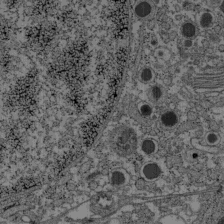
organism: C57BL Mouse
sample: Pancreatic islet